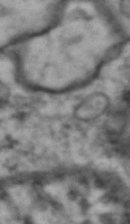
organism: Drosophila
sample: Brain